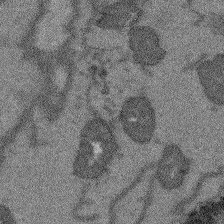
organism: Arabidopsis thaliana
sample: Root tip